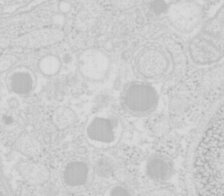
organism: Mouse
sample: Pancreas